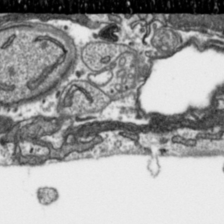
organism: Toxoplasma gondii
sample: Parasites in a vacuole inside a host cell